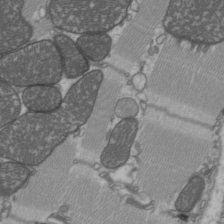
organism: C57BL Mouse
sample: Heart